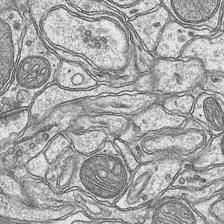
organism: Mouse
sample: CA1 Hippocampus